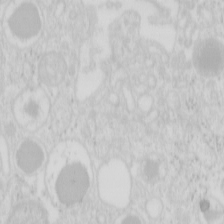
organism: Mouse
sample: Pancreas